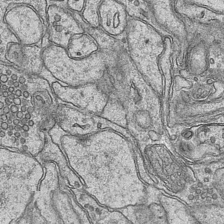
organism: Mouse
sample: CA1 Hippocampus